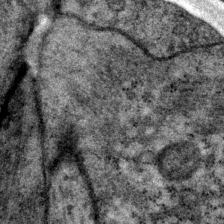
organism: P. pacificus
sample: Pharynx